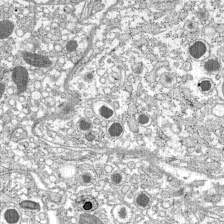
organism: C57BL Mouse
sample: Pancreatic islet